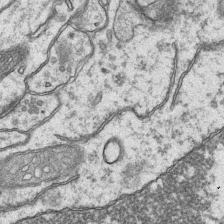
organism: Mouse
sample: CA1 Hippocampus